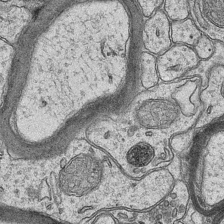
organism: Mouse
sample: CA1 Hippocampus